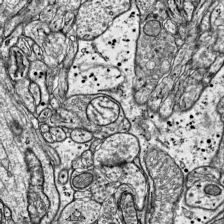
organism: Mouse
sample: Visual Cortex